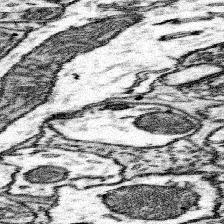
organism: Mouse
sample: Somatosensory cortex neuropil